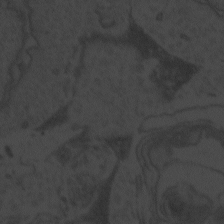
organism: Zebrafish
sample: Macrophage infected with Toxoplasma gondii